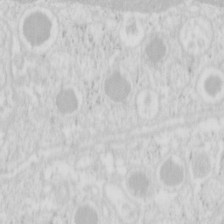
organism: Mouse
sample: Pancreas